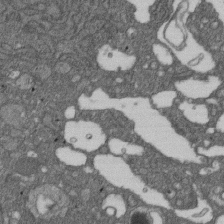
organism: Drosophila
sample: Nephrocyte